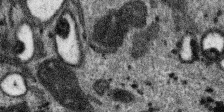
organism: Human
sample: Lung epithelial cells infected with SARS-CoV-2